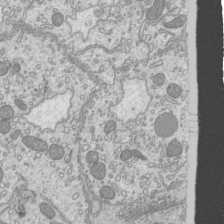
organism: Mouse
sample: Cilia; mouse epididymis